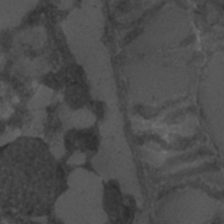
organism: C. elegans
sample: C. elegans embryo